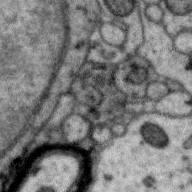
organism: Zebra finch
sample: Brain